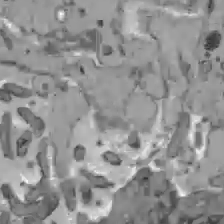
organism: C57BL Mouse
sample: Liver